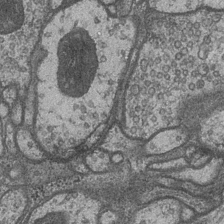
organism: Drosophila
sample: Optic medulla